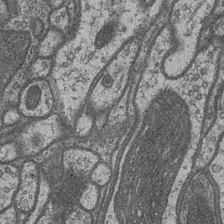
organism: Drosophila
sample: Optic medulla